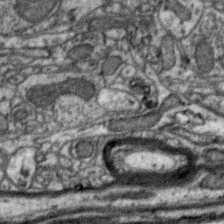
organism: Zebra finch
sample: Brain